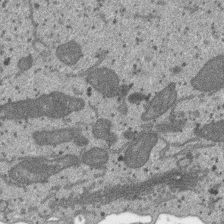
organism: Human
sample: Lung epithelial cells infected with SARS-CoV-2